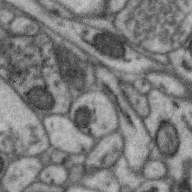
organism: Zebra finch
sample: Brain